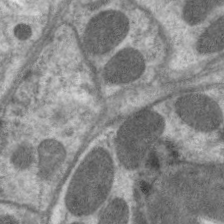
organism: C. elegans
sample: Pharynx